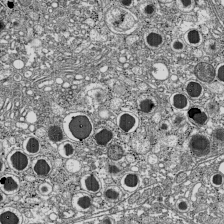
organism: C57BL Mouse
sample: Pancreatic islet